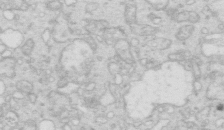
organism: Mouse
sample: Multiciliated cells